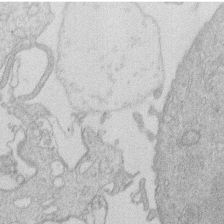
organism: Human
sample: Macrophage cells